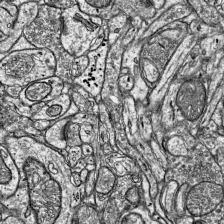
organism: Mouse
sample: Visual Cortex